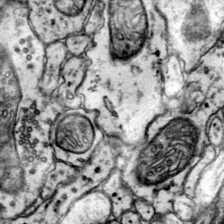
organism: Mouse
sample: Primary visual cortex